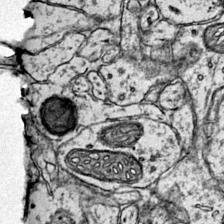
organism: Mouse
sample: Primary visual cortex